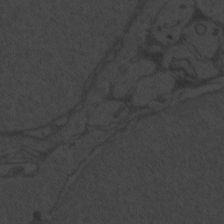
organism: Zebrafish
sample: Macrophage infected with Toxoplasma gondii